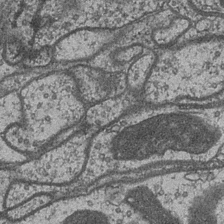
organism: Drosophila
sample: Optic medulla